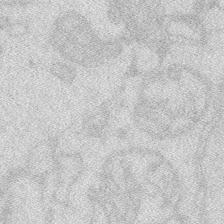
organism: Zebrafish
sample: Macrophage